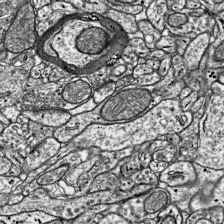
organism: Mouse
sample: Visual Cortex